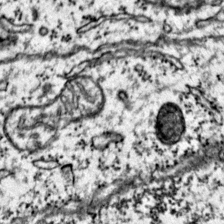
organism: Mouse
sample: Primary visual cortex